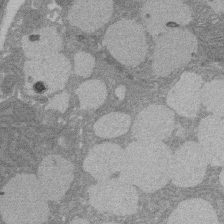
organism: Rat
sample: Salivary granule